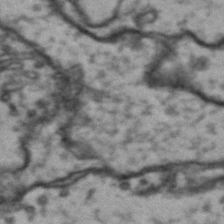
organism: Drosophila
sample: Brain